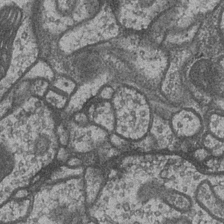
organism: Drosophila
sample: Optic medulla